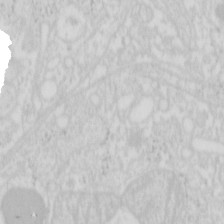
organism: Mouse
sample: Pancreas